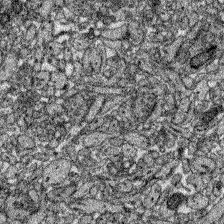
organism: Zebrafish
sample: Larval olfactory bulb